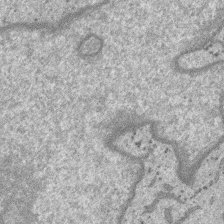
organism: Human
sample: Lung epithelial cells infected with SARS-CoV-2